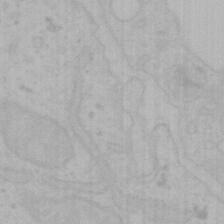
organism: Mouse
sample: Choroid plexus